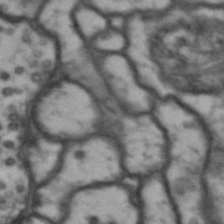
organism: Drosophila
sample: Brain